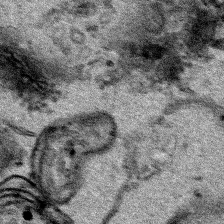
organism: Human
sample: Mitochondria in HCT116 cells